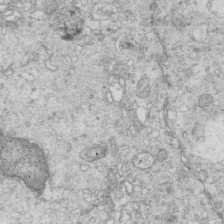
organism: Mouse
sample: Multiciliated cells